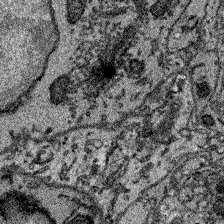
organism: Zebrafish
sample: Larval olfactory bulb